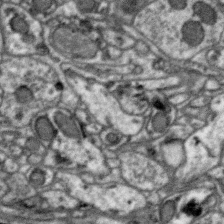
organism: Zebra finch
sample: Brain